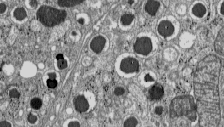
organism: C57BL Mouse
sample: Pancreatic islet